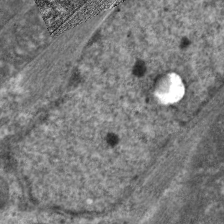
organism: C. elegans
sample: Pharynx